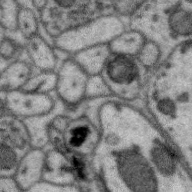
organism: Zebra finch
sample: Brain